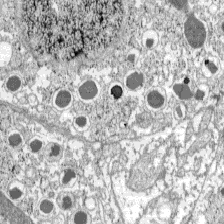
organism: C57BL Mouse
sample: Pancreatic islet